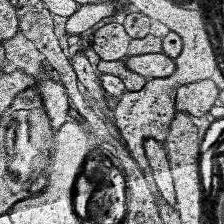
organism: Human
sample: Temporal Lobe